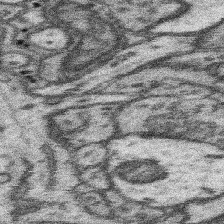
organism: Mouse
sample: Somatosensory cortex neuropil